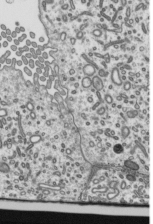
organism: Mouse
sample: Mouse epididymis efferent ductule cilia